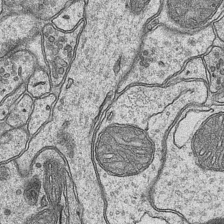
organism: Mouse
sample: CA1 Hippocampus